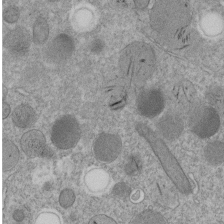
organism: C. elegans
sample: C. elegans embryo early stage